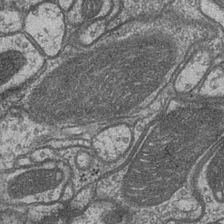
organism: Drosophila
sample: Optic medulla